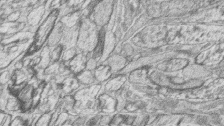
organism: Zebrafish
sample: synaptic ribbons in rod cells and cone cells